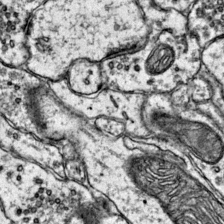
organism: Mouse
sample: Primary visual cortex